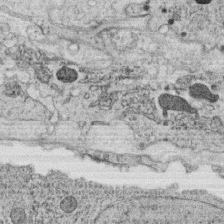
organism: C. elegans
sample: C. elegans oocyte; sperm cells